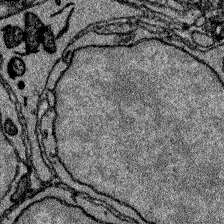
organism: Zebrafish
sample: Larval olfactory bulb